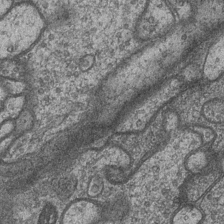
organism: Drosophila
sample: Optic medulla